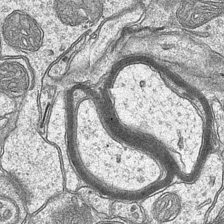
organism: Mouse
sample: CA1 Hippocampus